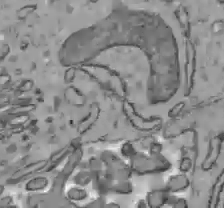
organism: C57BL Mouse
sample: Liver